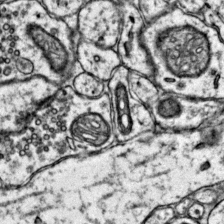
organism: Mouse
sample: Primary visual cortex